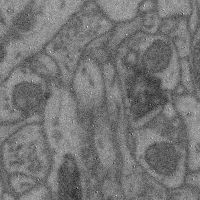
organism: Mouse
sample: Cerebral cortex